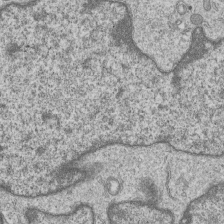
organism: Human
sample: MDA-MB-231 cells